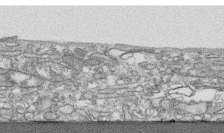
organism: Human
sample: CRL-1474